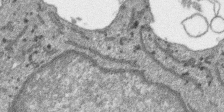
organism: Human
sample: Lung epithelial cells infected with SARS-CoV-2